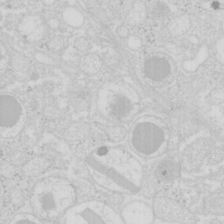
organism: Mouse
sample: Pancreas